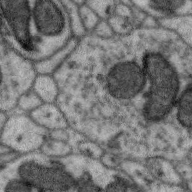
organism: Zebra finch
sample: Brain